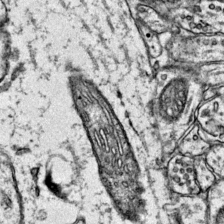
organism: Mouse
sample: Primary visual cortex